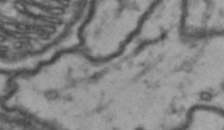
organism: Drosophila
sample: Brain